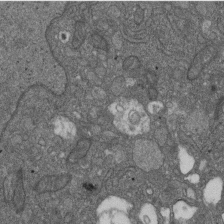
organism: Drosophila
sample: Nephrocyte